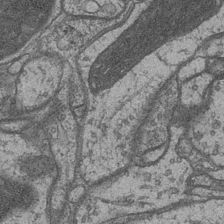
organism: Drosophila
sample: Optic medulla